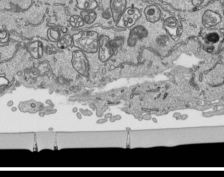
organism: Human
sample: Mitochondria in HCT116 cells